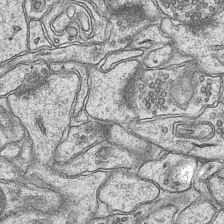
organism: Mouse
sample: CA1 Hippocampus